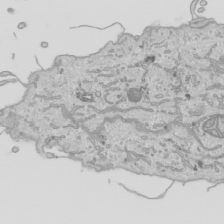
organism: Human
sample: Mitochondria in HCT116 cells